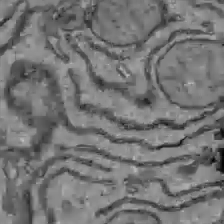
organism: C57BL Mouse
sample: Liver